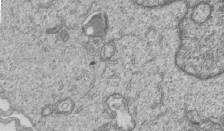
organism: Human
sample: MDA-MB-231 cells